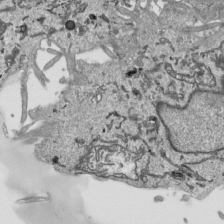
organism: Human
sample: Mitochondria in HCT116 cells